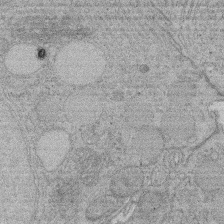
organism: Rat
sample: Salivary granule